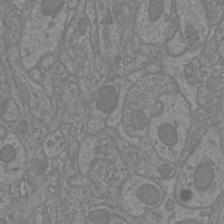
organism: Mouse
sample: Cortical neurons